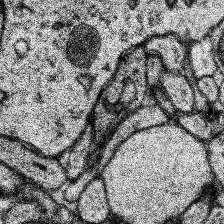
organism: Human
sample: Temporal Lobe